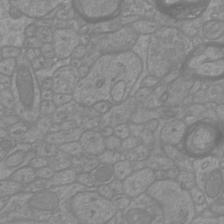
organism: Mouse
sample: Cortical neurons